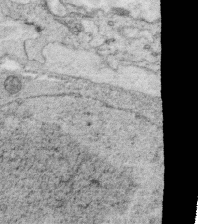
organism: C. elegans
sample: C. elegans oocyte; sperm cells